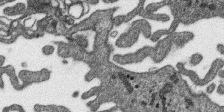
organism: Human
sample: Lung epithelial cells infected with SARS-CoV-2